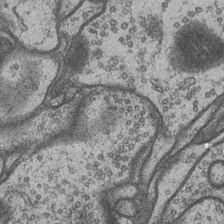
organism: Drosophila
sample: Optic medulla